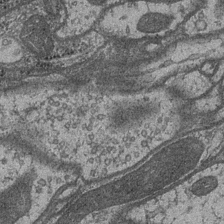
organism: Drosophila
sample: Optic medulla